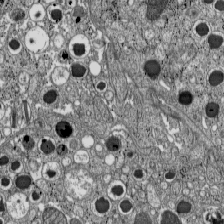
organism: C57BL Mouse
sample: Pancreatic islet